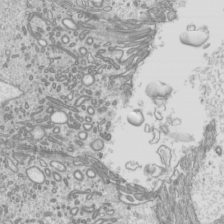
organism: Mouse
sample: Cilia; mouse epididymis